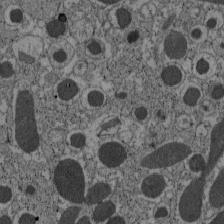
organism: C57BL Mouse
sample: Pancreatic islet